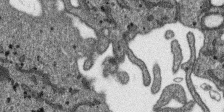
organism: Human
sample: Lung epithelial cells infected with SARS-CoV-2